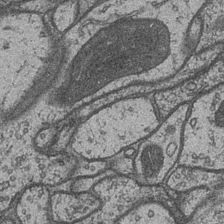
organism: Drosophila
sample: Optic medulla